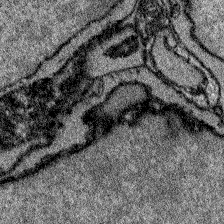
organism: Zebrafish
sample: Larval olfactory bulb